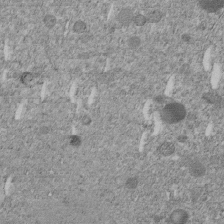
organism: C. elegans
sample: C. elegans embryo early stage